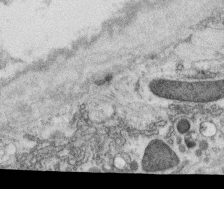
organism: C. elegans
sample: C. elegans oocyte; sperm cells